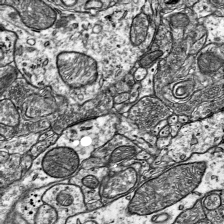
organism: Mouse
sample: Visual Cortex